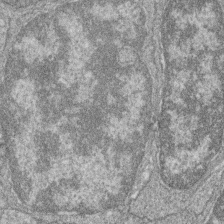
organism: Zebrafish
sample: Cilia; retinal pigment epithelium